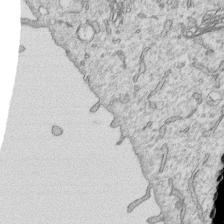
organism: Human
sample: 1205lu cells